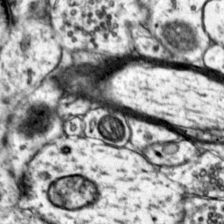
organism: Mouse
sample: Primary visual cortex